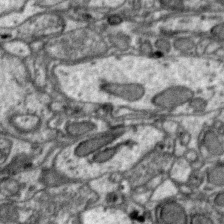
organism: Zebra finch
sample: Brain